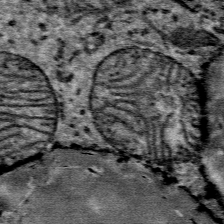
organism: Mouse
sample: Mouse Salivary gland